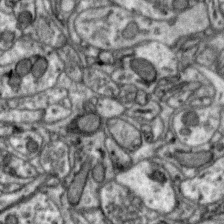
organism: Zebra finch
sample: Brain